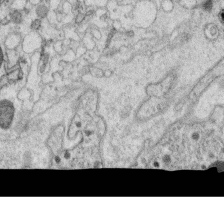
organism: C. elegans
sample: C. elegans oocyte; sperm cells